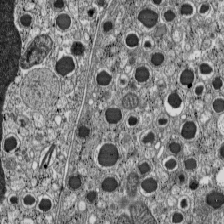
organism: C57BL Mouse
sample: Pancreatic islet